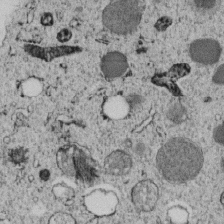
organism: C. elegans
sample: C. elegans embryo early stage